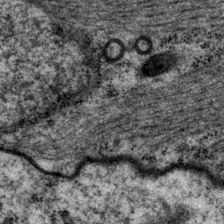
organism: P. pacificus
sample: Pharynx